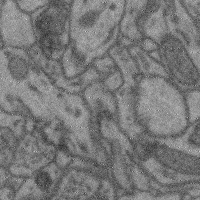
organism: Mouse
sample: Cerebral cortex